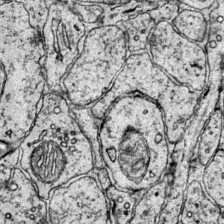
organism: Mouse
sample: Primary visual cortex